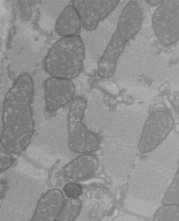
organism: C57BL Mouse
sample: Heart